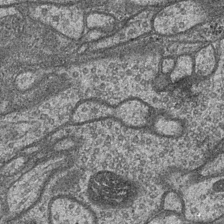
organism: Drosophila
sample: Optic medulla